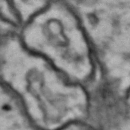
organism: Drosophila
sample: Brain